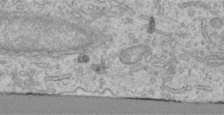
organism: Human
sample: Centriole in RPE cells